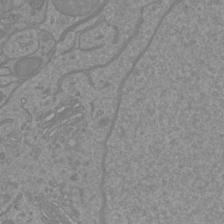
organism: Mouse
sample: Cortical neurons